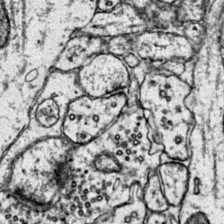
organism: Mouse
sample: Primary visual cortex